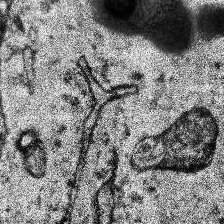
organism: Human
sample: Temporal Lobe